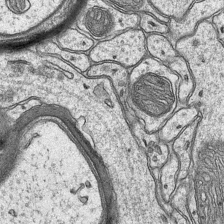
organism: Mouse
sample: CA1 Hippocampus